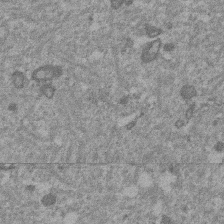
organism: Mouse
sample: Dividing mouse embryo 1 cell stage